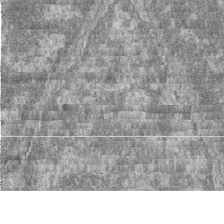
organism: Zebrafish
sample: Cilia; retinal pigment epithelium